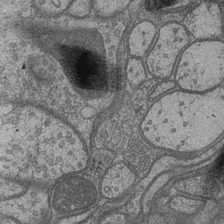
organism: Drosophila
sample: Optic medulla